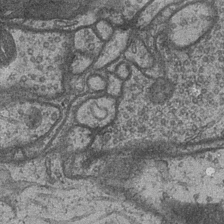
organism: Drosophila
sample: Optic medulla